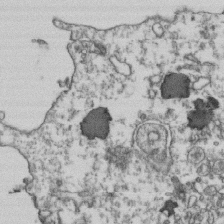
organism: Human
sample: Activated Jurkat CD4+ T cells